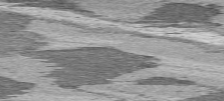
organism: C57BL Mouse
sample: Heart